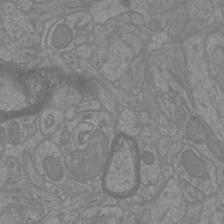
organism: Mouse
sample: Cortical neurons